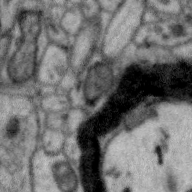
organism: Zebra finch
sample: Brain